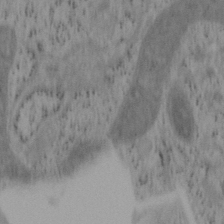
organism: Mouse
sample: OT-I killer T cells with ID8 ovarian cancer cells